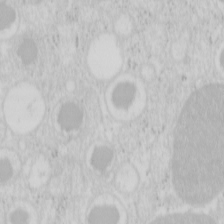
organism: Mouse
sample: Pancreas